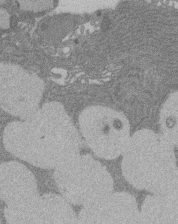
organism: Rat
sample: Salivary granule